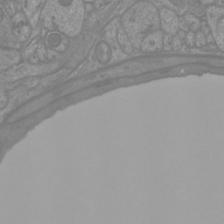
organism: Mouse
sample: Cortical neurons